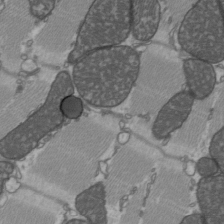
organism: C57BL Mouse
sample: Heart